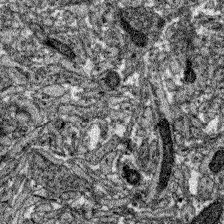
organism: Zebrafish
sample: Larval olfactory bulb